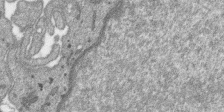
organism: Human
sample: Lung epithelial cells infected with SARS-CoV-2